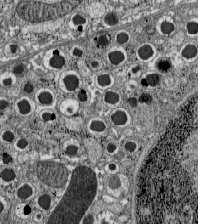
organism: C57BL Mouse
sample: Pancreatic islet